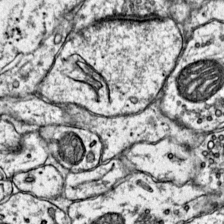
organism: Mouse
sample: Primary visual cortex